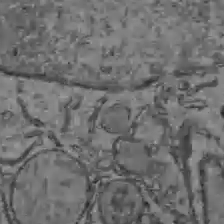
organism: C57BL Mouse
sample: Liver